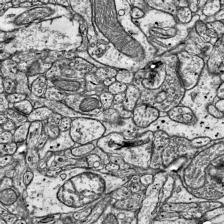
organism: Mouse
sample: Visual Cortex